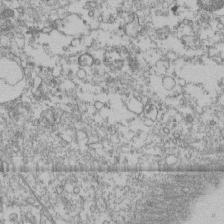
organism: Human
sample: Fibroblast cells